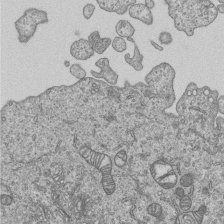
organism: Human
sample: MDA-MB-231 cells